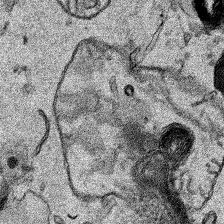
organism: Human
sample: Mitochondria in HCT116 cells